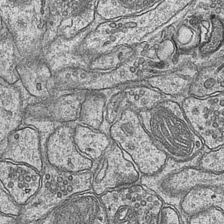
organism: Mouse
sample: CA1 Hippocampus